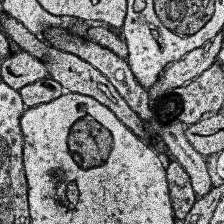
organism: Human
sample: Temporal Lobe